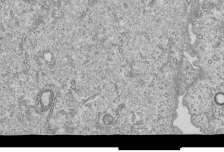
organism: Human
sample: MDA-MB-231 cells